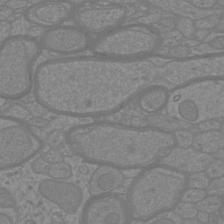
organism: Mouse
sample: Cortical neurons